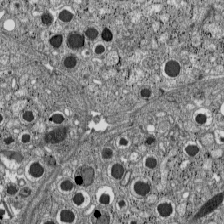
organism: C57BL Mouse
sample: Pancreatic islet